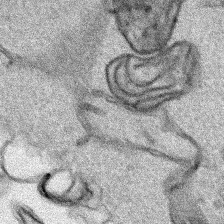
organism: Human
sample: Mitochondria in HCT116 cells